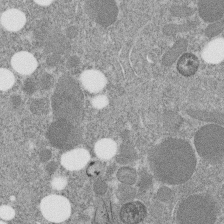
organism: C. elegans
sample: C. elegans embryo early stage